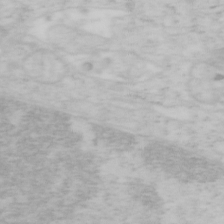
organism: Mouse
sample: OT-I killer T cells with ID8 ovarian cancer cells